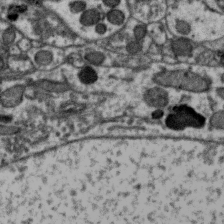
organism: Zebra finch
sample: Brain